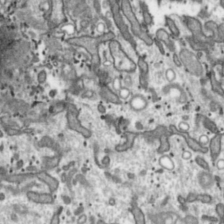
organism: Toxoplasma gondii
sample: Parasites in a vacuole inside a host cell